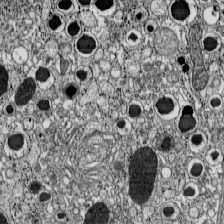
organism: C57BL Mouse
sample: Pancreatic islet